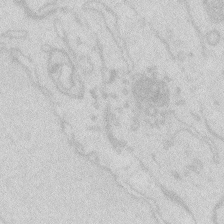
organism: Zebrafish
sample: Macrophage